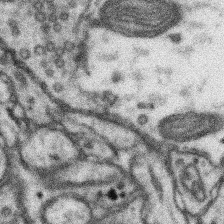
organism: Mouse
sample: Somatosensory cortex neuropil